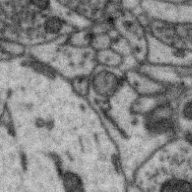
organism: Zebra finch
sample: Brain